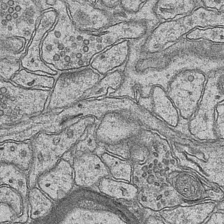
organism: Mouse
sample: CA1 Hippocampus